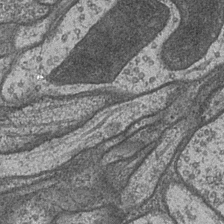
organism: Drosophila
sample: Optic medulla